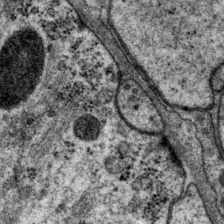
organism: P. pacificus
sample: Pharynx